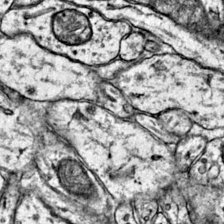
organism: Mouse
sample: Primary visual cortex